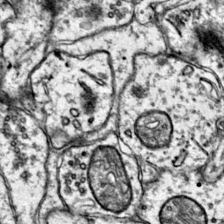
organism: Mouse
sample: Primary visual cortex